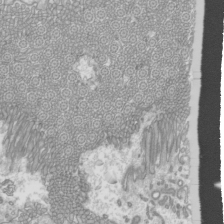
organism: Mouse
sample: Cilia; mouse epididymis